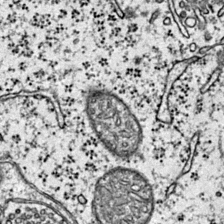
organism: Mouse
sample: Primary visual cortex